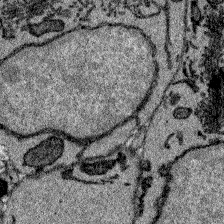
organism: Zebrafish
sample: Larval olfactory bulb